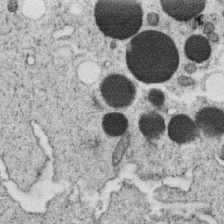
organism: C. elegans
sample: C. elegans oocyte; sperm cells